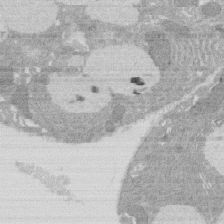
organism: Rat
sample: Salivary granule